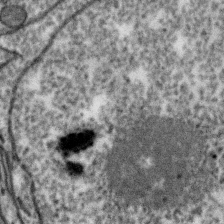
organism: Zebra finch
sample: Brain